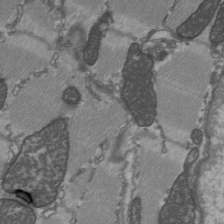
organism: C57BL Mouse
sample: Heart